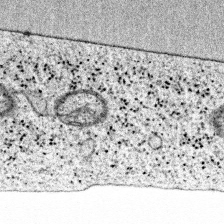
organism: Human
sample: HeLa cells